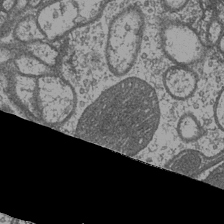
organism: Drosophila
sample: Optic medulla